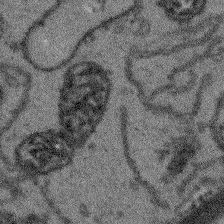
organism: Arabidopsis thaliana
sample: Root tip